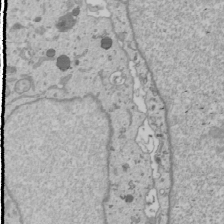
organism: Human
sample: Mitochondria in U2OS cells